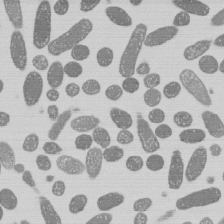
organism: E. coli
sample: Bacterial nucleoid